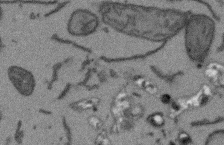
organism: Arabidopsis thaliana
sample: Root tip